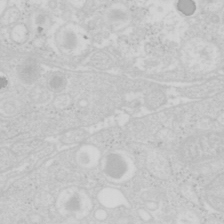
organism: Mouse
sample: Pancreas